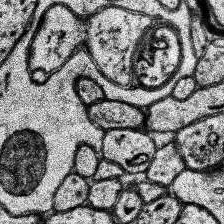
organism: Human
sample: Temporal Lobe